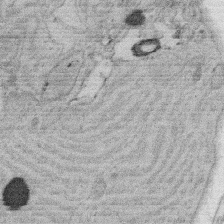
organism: Rat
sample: Salivary granule